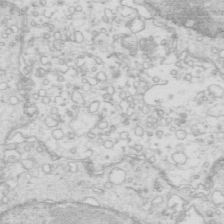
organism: Mouse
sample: Multiciliated cells